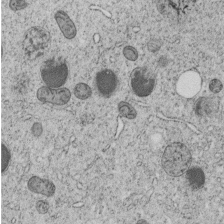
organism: C. elegans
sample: C. elegans embryo early stage